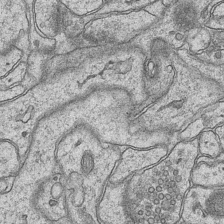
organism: Mouse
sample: CA1 Hippocampus